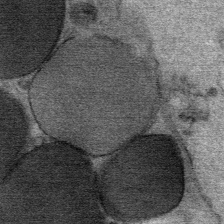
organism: Mouse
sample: Mouse Salivary gland